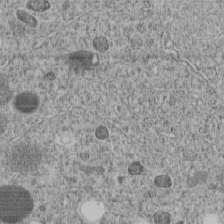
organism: C. elegans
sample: C. elegans embryo early stage